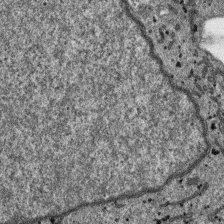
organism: Human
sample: Lung epithelial cells infected with SARS-CoV-2